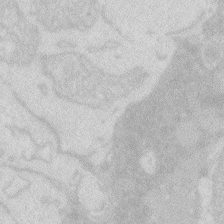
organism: Zebrafish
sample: Macrophage